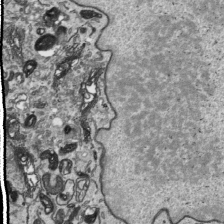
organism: Human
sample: Mitochondria in HCT116 cells